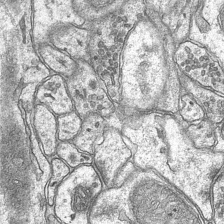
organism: Mouse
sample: CA1 Hippocampus